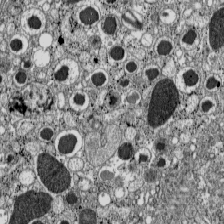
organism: C57BL Mouse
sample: Pancreatic islet